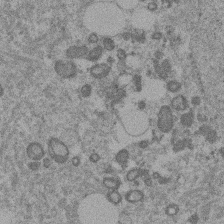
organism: Mouse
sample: Dividing mouse embryo 1 cell stage